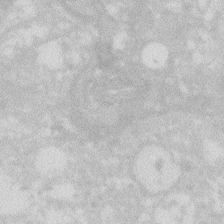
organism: Zebrafish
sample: Macrophage